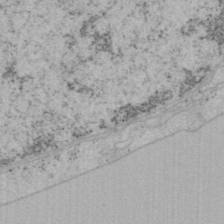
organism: Human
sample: HeLa cells